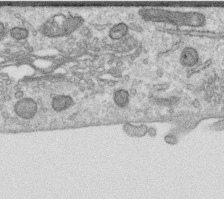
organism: Human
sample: Centriole in RPE cells